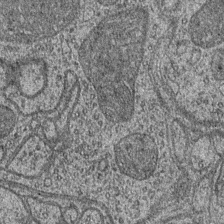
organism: Drosophila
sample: Optic medulla